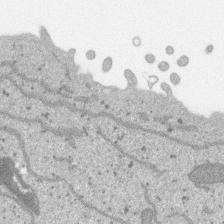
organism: Human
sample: Lung epithelial cells infected with SARS-CoV-2